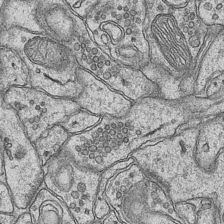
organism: Mouse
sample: CA1 Hippocampus